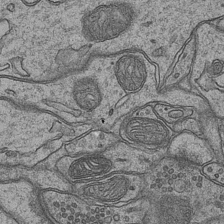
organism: Mouse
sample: CA1 Hippocampus